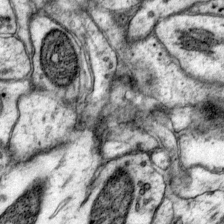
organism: Mouse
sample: Primary visual cortex